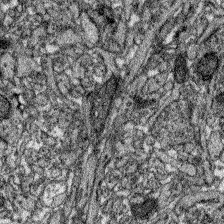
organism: Zebrafish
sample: Larval olfactory bulb